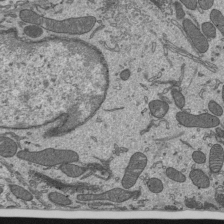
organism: Mouse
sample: Mouse epididymis efferent ductule cilia